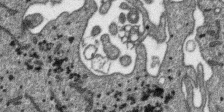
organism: Human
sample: Lung epithelial cells infected with SARS-CoV-2